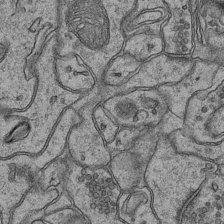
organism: Mouse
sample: CA1 Hippocampus